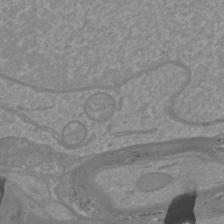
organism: Mouse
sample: Cortical neurons